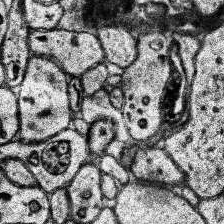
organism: Human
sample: Temporal Lobe